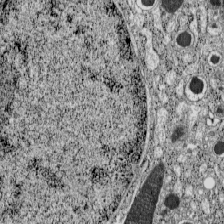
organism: C57BL Mouse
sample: Pancreatic islet